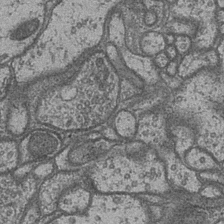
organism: Drosophila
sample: Optic medulla